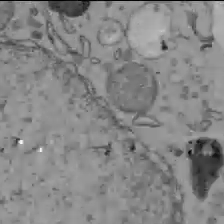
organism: C57BL Mouse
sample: Liver